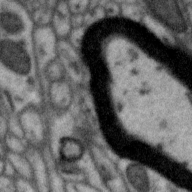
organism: Zebra finch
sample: Brain